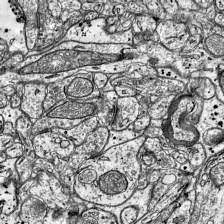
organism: Mouse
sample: Visual Cortex